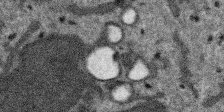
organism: Human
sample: Lung epithelial cells infected with SARS-CoV-2